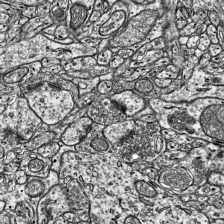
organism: Mouse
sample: Visual Cortex